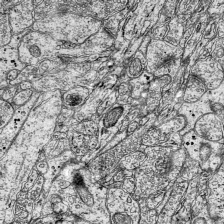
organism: Mouse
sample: Visual Cortex